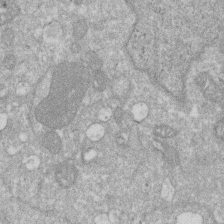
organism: Human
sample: HIV infected U937 cells